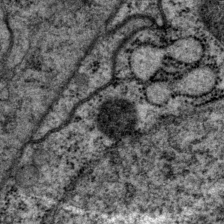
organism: P. pacificus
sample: Pharynx